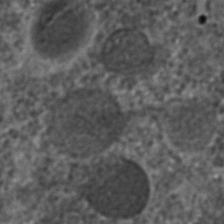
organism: C. elegans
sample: C. elegans embryo